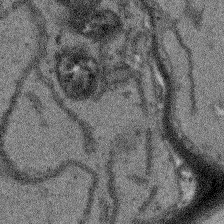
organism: Arabidopsis thaliana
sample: Root tip